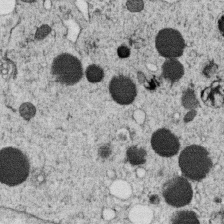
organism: C. elegans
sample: C. elegans oocyte; sperm cells